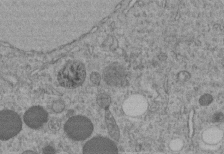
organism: C. elegans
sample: C. elegans embryo early stage